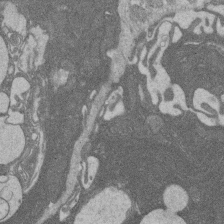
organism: Rat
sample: Salivary granule